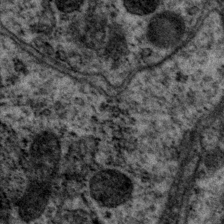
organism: P. pacificus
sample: Pharynx